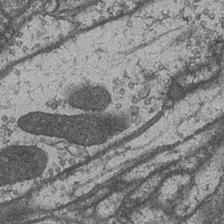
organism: Drosophila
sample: Optic medulla